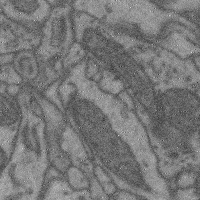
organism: Mouse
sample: Cerebral cortex